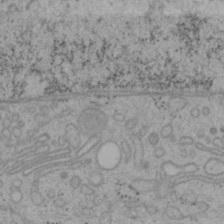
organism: Human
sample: HeLa cells